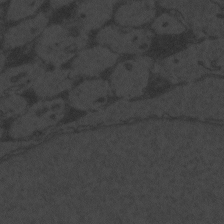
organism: Zebrafish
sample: Macrophage infected with Toxoplasma gondii